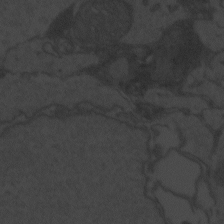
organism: Zebrafish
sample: Macrophage infected with Toxoplasma gondii